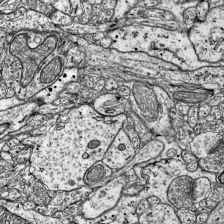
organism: Mouse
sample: Visual Cortex